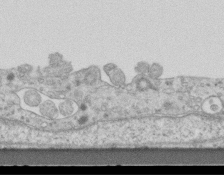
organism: Mouse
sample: Centriole in ependymal cells